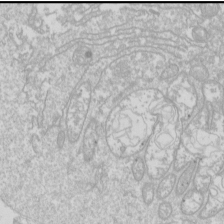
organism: Drosophila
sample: Cell division; meiosis; drosophila spermatocytes